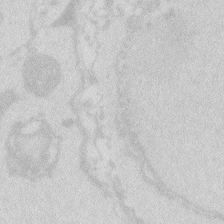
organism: Zebrafish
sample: Macrophage